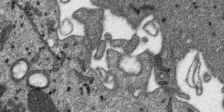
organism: Human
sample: Lung epithelial cells infected with SARS-CoV-2